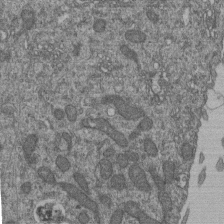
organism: Human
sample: Retinal organoid Rod and Cone cells